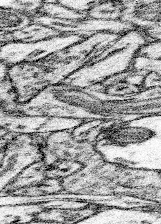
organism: Mouse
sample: Somatosensory cortex neuropil